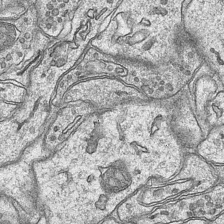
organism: Mouse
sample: CA1 Hippocampus